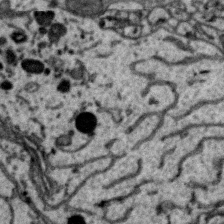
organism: Zebra finch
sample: Brain